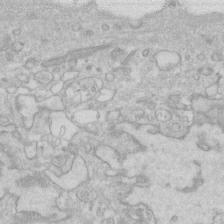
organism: Human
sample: Fibroblast cells